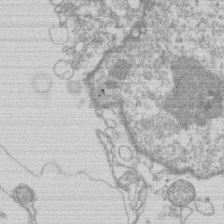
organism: Human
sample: Macrophage cells